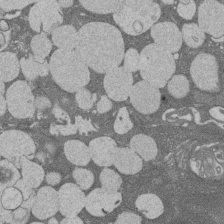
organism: Rat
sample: Salivary granule